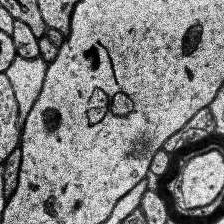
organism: Human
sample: Temporal Lobe